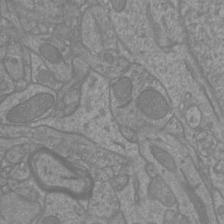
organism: Mouse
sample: Cortical neurons